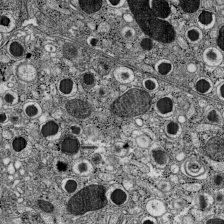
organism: C57BL Mouse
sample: Pancreatic islet